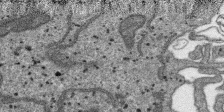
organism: Human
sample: Lung epithelial cells infected with SARS-CoV-2